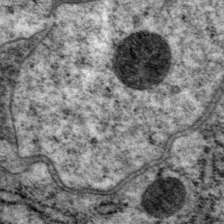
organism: P. pacificus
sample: Pharynx